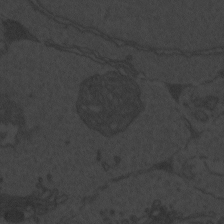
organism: Zebrafish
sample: Macrophage infected with Toxoplasma gondii